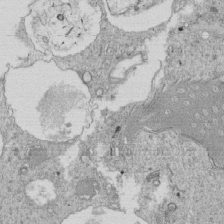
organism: Tetrahymena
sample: Cilia in tetrahymena